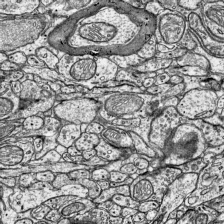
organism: Mouse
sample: Visual Cortex